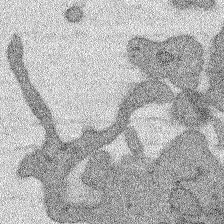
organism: Human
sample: HeLa cells